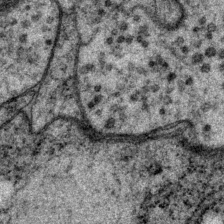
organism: P. pacificus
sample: Pharynx